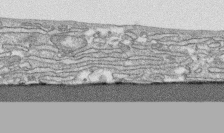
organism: Human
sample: CRL-1474